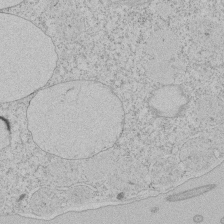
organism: Tetrahymena